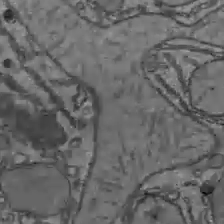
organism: C57BL Mouse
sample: Liver